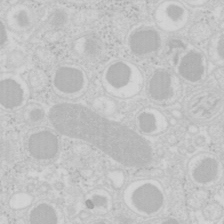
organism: Mouse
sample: Pancreas